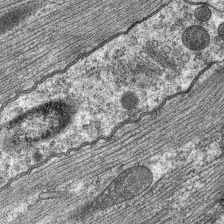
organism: C. elegans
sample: Pharynx